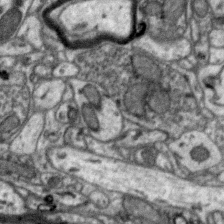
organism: Zebra finch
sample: Brain